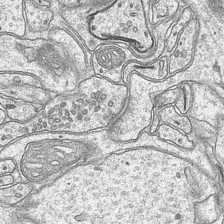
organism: Mouse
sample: CA1 Hippocampus